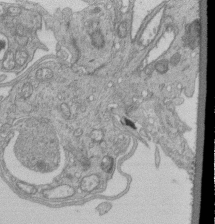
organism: Human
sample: Retinal organoid Rod and Cone cells